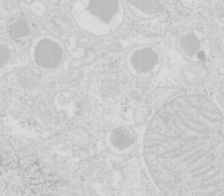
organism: Mouse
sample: Pancreas